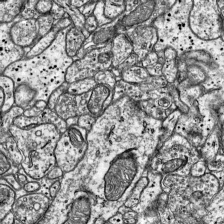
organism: Mouse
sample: Visual Cortex